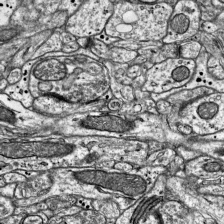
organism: Mouse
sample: Visual Cortex